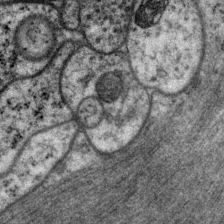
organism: P. pacificus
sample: Pharynx